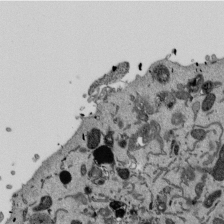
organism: Mouse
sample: ED-1 cell nuclei; centrioles